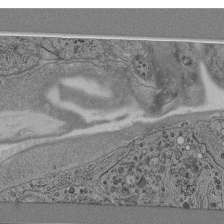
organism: C. elegans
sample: C. elegans pharynx